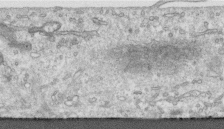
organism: Human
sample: Centriole in RPE cells